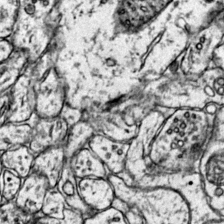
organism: Mouse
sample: Primary visual cortex